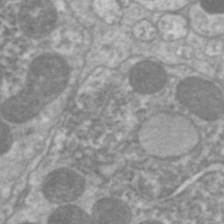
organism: C. elegans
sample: Pharynx